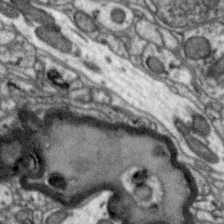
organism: Zebra finch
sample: Brain